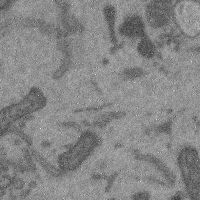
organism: Mouse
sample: Cerebral cortex